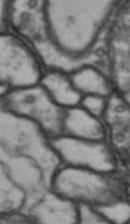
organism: Drosophila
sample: Brain